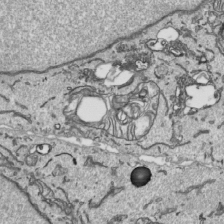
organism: Human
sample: Mitochondria in HCT116 cells